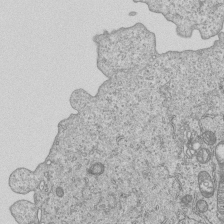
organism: Human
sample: MDA-MB-231 cells